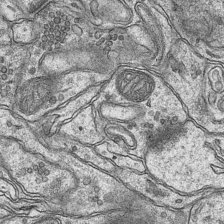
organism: Mouse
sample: CA1 Hippocampus